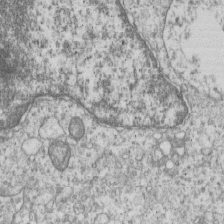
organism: Human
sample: MDA-MB-231 cells